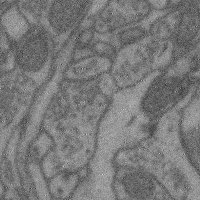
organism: Mouse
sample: Cerebral cortex